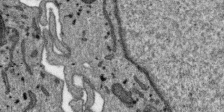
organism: Human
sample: Lung epithelial cells, uninfected (mock) control